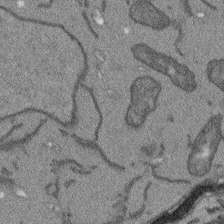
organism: Arabidopsis thaliana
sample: Root tip